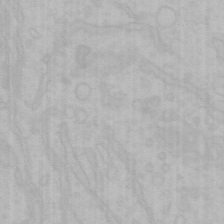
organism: Mouse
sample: Choroid plexus